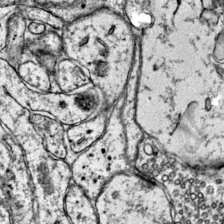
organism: Mouse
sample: Primary visual cortex